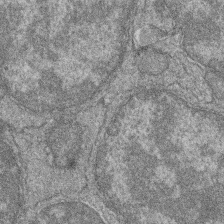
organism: Zebrafish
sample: Cilia; retinal pigment epithelium